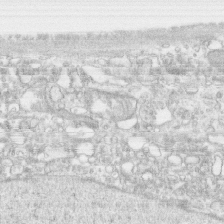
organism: Human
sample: CRL-1474